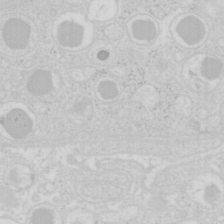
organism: Mouse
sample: Pancreas